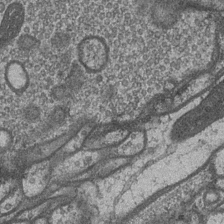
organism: Drosophila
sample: Optic medulla